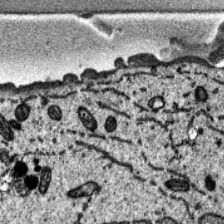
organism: Human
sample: HeLa cells